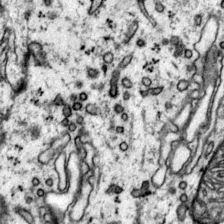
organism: Mouse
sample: Primary visual cortex